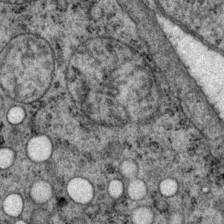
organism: P. pacificus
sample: Pharynx